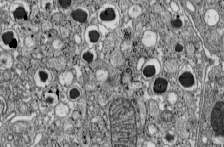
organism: C57BL Mouse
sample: Pancreatic islet